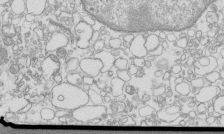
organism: Mouse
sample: Macrophages